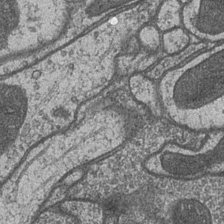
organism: Drosophila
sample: Optic medulla